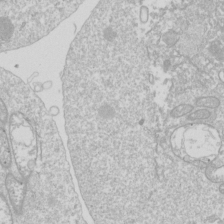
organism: Drosophila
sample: Cell division; meiosis; drosophila spermatocytes